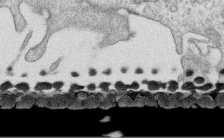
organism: Human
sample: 1205lu cells